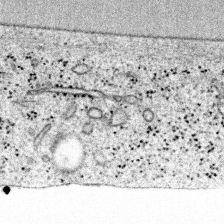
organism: Human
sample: HeLa cells